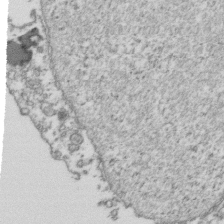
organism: Human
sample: Activated Jurkat CD4+ T cells